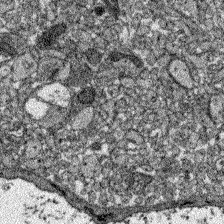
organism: Zebrafish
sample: Larval olfactory bulb